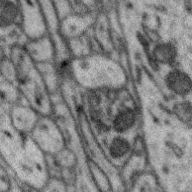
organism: Zebra finch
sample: Brain